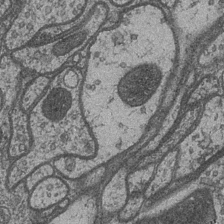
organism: Drosophila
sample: Optic medulla